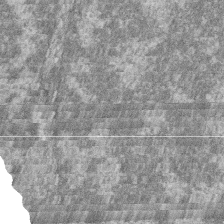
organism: Zebrafish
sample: Cilia; retinal pigment epithelium